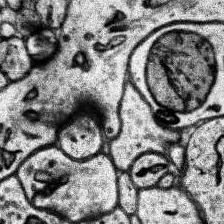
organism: Human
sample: Temporal Lobe